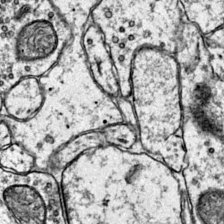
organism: Mouse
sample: Primary visual cortex